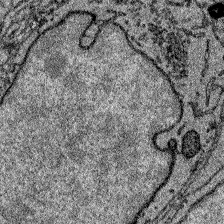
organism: Zebrafish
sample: Larval olfactory bulb